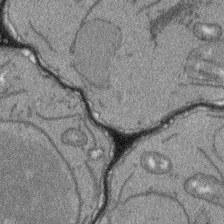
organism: Arabidopsis thaliana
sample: Root tip